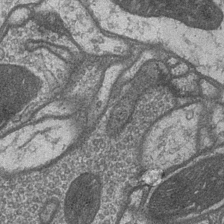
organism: Drosophila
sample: Optic medulla